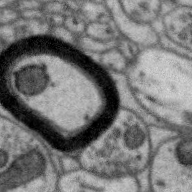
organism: Zebra finch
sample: Brain